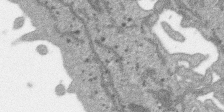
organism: Human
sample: Lung epithelial cells infected with SARS-CoV-2